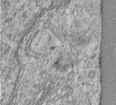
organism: Human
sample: Centriole in RPE cells